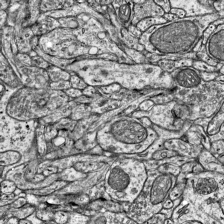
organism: Mouse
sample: Visual Cortex